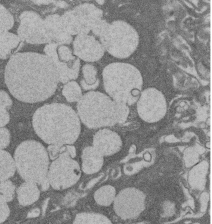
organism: Rat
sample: Salivary granule